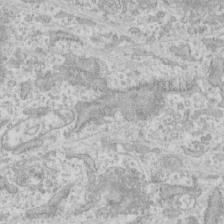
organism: Human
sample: CRL-1474